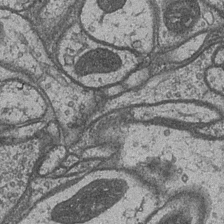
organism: Drosophila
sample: Optic medulla